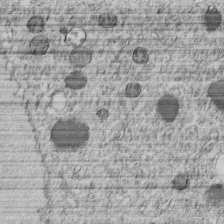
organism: C. elegans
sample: C. elegans embryo early stage